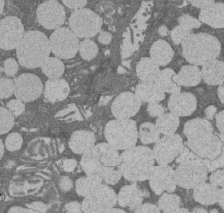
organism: Rat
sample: Salivary granule